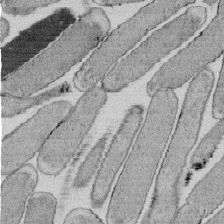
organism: E. coli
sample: Bacterial nucleoid